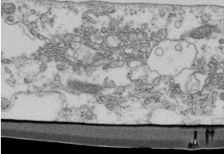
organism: Mouse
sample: Cilia; retinal pigment epithelium